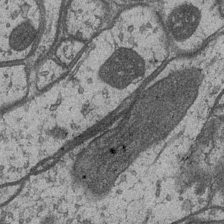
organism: Drosophila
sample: Optic medulla